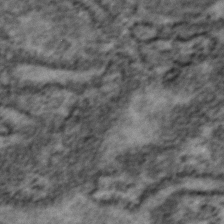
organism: Zebrafish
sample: Zebrafish embryo